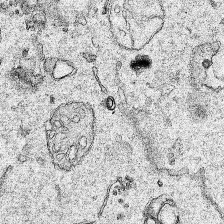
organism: Human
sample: Mitochondria in HCT116 cells